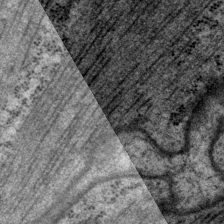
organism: P. pacificus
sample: Pharynx